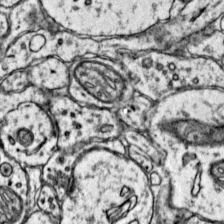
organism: Mouse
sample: Primary visual cortex